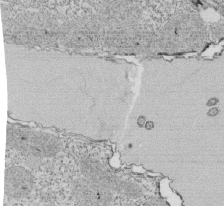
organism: Tetrahymena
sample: Cilia in tetrahymena